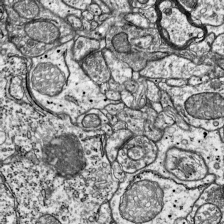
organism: Mouse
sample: Visual Cortex